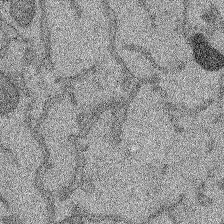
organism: Human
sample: HeLa cells